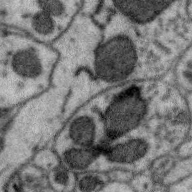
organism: Zebra finch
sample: Brain